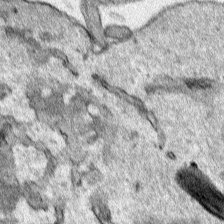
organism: Human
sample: Mitochondria in HCT116 cells